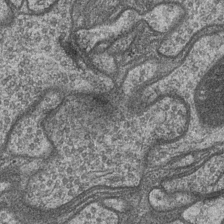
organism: Drosophila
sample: Optic medulla